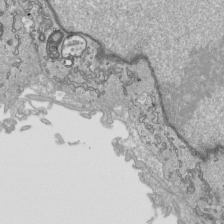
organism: Human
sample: Mitochondria in HCT116 cells